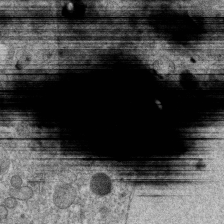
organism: C. elegans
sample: C. elegans oocyte; sperm cells